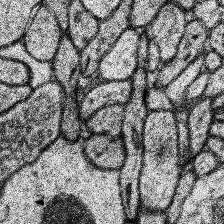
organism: Human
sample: Temporal Lobe